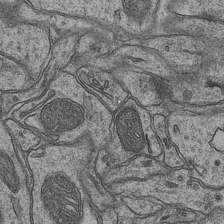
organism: Mouse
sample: CA1 Hippocampus